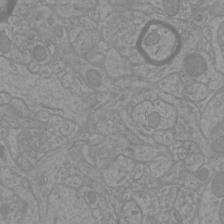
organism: Mouse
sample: Cortical neurons